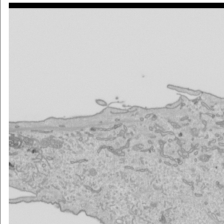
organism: Human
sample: Mitochondria in HCT116 cells